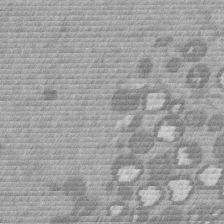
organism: Mouse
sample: Dividing mouse embryo 1 cell stage